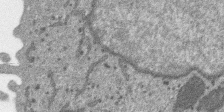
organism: Human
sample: Lung epithelial cells infected with SARS-CoV-2